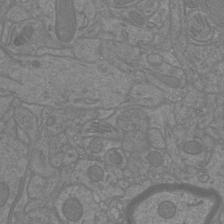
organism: Mouse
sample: Cortical neurons